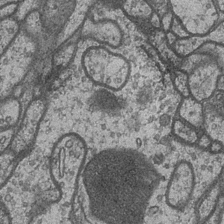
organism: Drosophila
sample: Optic medulla